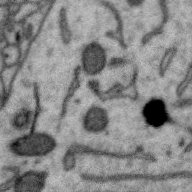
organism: Zebra finch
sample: Brain